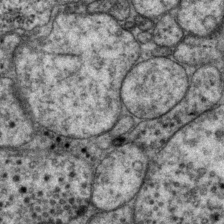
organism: P. pacificus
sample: Pharynx